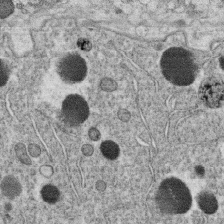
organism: C. elegans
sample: C. elegans oocyte; sperm cells